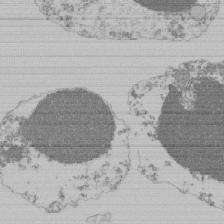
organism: Mouse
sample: Activated Pmel transgenic CD8+ T Cells